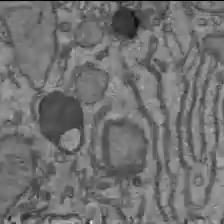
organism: C57BL Mouse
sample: Liver